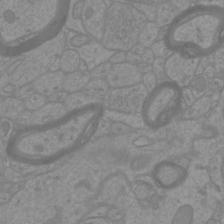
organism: Mouse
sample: Cortical neurons